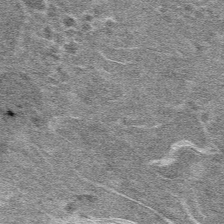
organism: Mouse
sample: Mouse hepatocytes